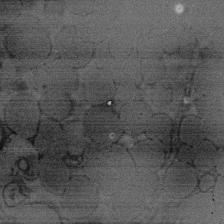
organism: Rat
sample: Salivary granule